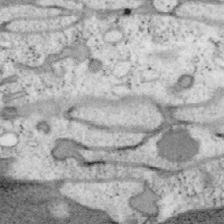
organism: Mouse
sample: OT-I killer T cells with ID8 ovarian cancer cells